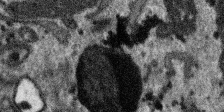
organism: Human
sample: Lung epithelial cells infected with SARS-CoV-2